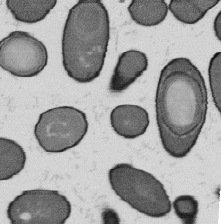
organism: B. subtilis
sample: Bacterial spore